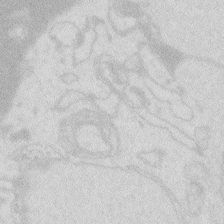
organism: Zebrafish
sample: Macrophage